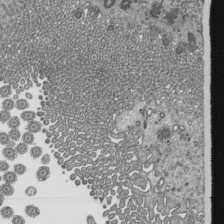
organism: Mouse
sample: Mouse epididymis efferent ductule cilia